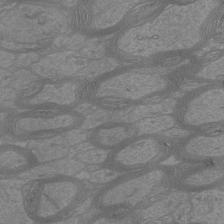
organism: Mouse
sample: Cortical neurons